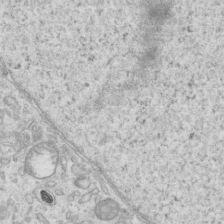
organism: Mouse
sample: Centriole in ependymal cells